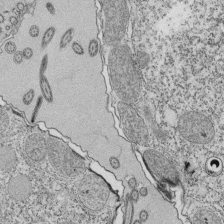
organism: Tetrahymena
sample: Cilia in tetrahymena